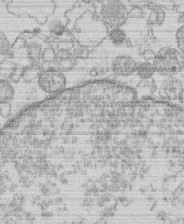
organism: Human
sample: Macrophage cells